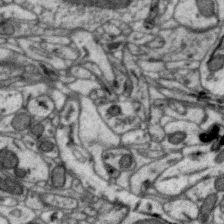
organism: Zebra finch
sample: Brain